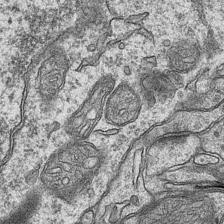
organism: Mouse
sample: CA1 Hippocampus